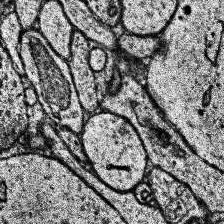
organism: Human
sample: Temporal Lobe